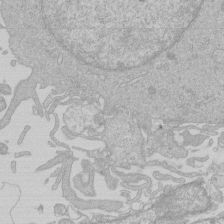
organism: Human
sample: Macrophage cells